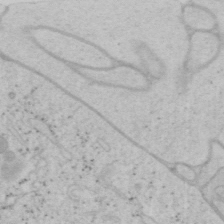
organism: Human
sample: HeLa cells